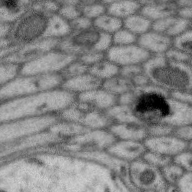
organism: Zebra finch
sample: Brain